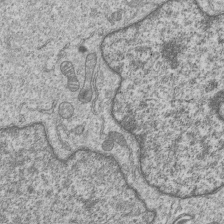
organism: Human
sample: MDA-MB-231 cells